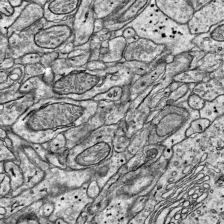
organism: Mouse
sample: Visual Cortex